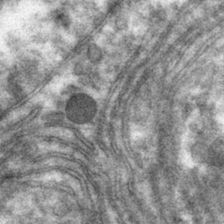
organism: Mouse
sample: Mouse hepatocytes